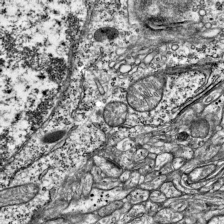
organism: Mouse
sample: Visual Cortex